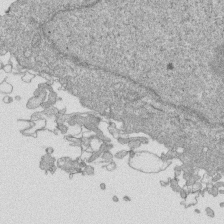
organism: Human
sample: HeLa cell HIV synapse